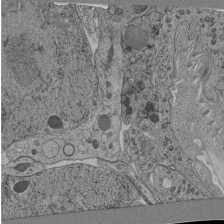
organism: C. elegans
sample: C. elegans pharynx